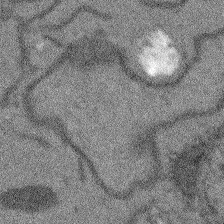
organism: Arabidopsis thaliana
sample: Root tip